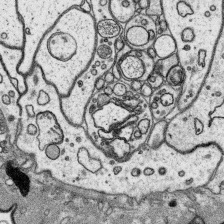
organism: Platynereis dumerilii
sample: Parapodia